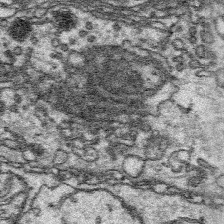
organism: Platynereis dumerilii